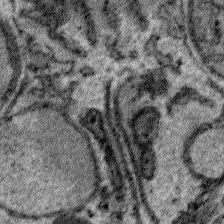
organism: Plasmodium falciparum